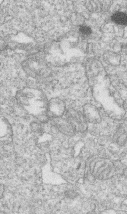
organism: Human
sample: HeLa cell HIV synapse